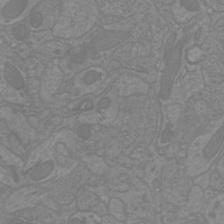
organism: Mouse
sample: Cortical neurons